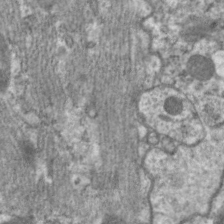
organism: C. elegans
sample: Pharynx